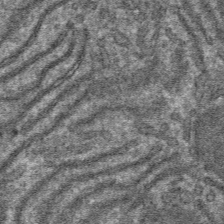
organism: Mouse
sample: Mouse hepatocytes